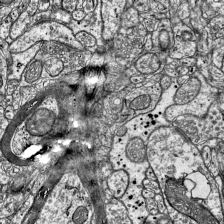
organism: Mouse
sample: Visual Cortex